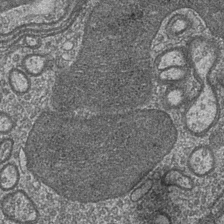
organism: Drosophila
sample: Optic medulla